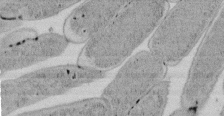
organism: E. coli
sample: Bacterial nucleoid